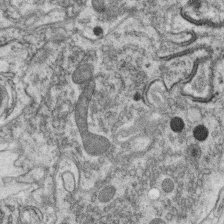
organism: C. elegans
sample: C. elegans oocyte; sperm cells